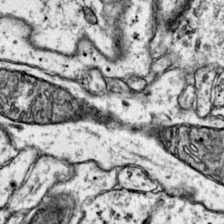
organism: Mouse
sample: Primary visual cortex